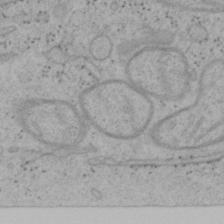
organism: Human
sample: HeLa cells